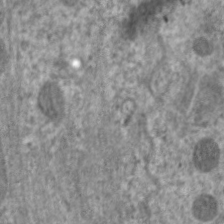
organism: C. elegans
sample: Pharynx